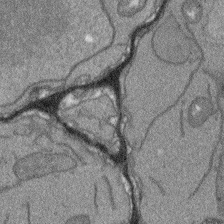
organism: Arabidopsis thaliana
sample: Root tip